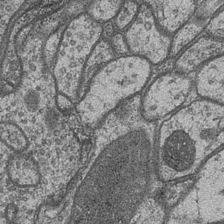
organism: Drosophila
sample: Optic medulla